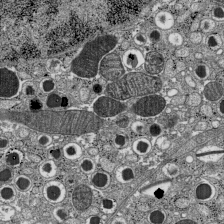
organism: C57BL Mouse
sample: Pancreatic islet